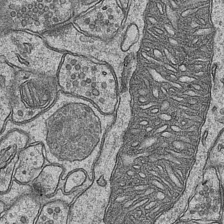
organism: Mouse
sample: CA1 Hippocampus